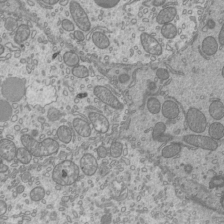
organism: Mouse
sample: Cilia; mouse epididymis